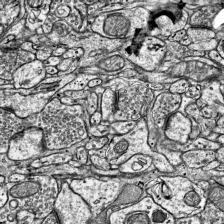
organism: Mouse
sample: Visual Cortex